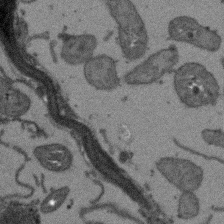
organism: Arabidopsis thaliana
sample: Root tip